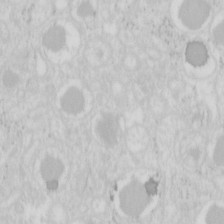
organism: Mouse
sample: Pancreas